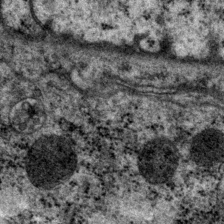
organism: P. pacificus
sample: Pharynx